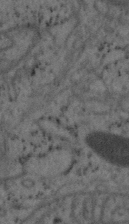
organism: Human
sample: HeLa cells